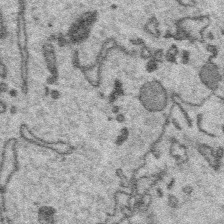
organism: Platynereis dumerilii